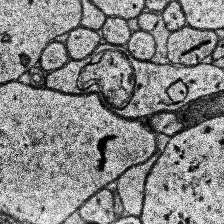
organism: Human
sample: Temporal Lobe